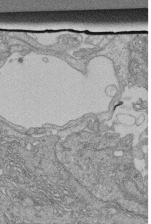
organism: Human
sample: Retinal organoid Rod and Cone cells